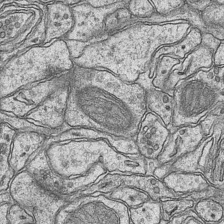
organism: Mouse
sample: CA1 Hippocampus